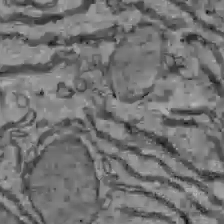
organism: C57BL Mouse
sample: Liver